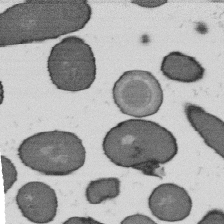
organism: B. subtilis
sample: Bacterial spore